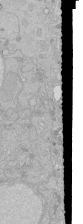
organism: Human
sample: Caco-2 cells